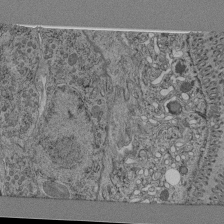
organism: C. elegans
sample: C. elegans pharynx